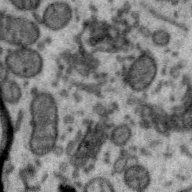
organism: Zebra finch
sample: Brain